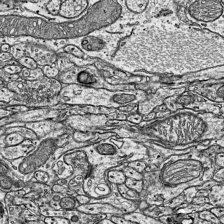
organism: Mouse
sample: Visual Cortex